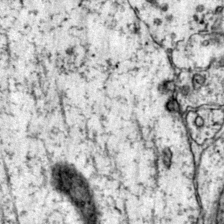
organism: Mouse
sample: Primary visual cortex